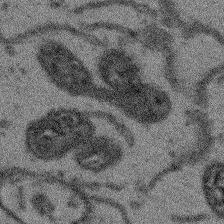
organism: Arabidopsis thaliana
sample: Root tip